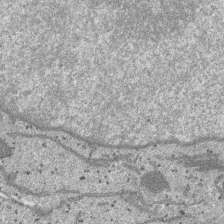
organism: Human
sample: Lung epithelial cells infected with SARS-CoV-2